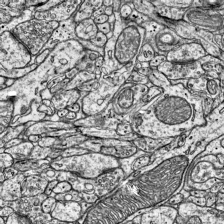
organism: Mouse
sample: Visual Cortex